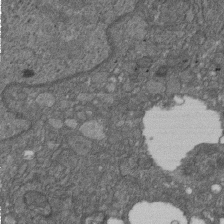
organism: Drosophila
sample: Nephrocyte